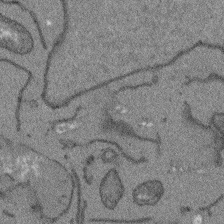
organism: Arabidopsis thaliana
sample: Root tip